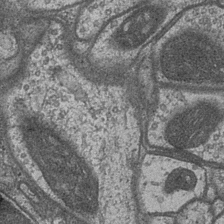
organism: Drosophila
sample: Optic medulla